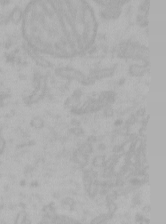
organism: Mouse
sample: Choroid plexus